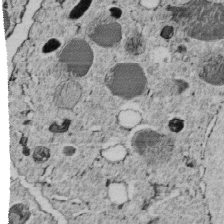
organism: C. elegans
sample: C. elegans embryo early stage